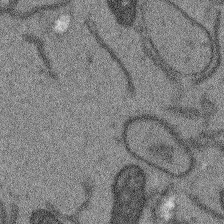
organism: Arabidopsis thaliana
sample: Root tip